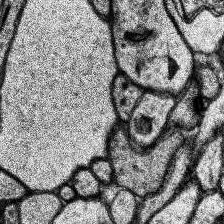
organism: Human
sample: Temporal Lobe